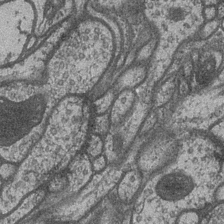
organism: Drosophila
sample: Optic medulla